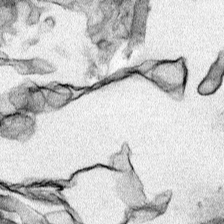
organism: Human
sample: Mitochondria in HCT116 cells